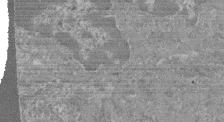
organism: Mouse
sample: Glomerulus